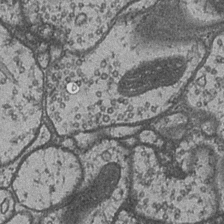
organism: Drosophila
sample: Optic medulla